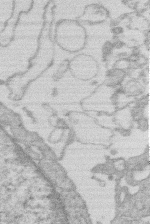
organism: Human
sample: Macrophage cells